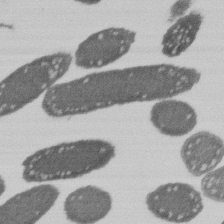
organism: E. coli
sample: Bacterial nucleoid